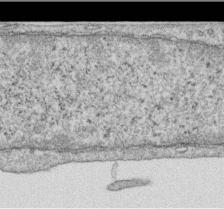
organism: Human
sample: Centriole in RPE cells